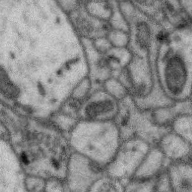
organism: Zebra finch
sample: Brain